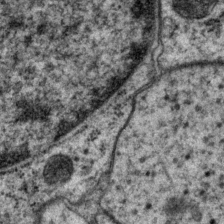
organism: P. pacificus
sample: Pharynx